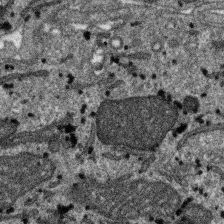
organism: Human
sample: Lung epithelial cells infected with SARS-CoV-2